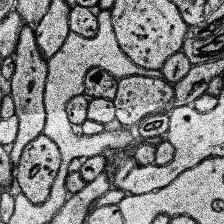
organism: Human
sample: Temporal Lobe